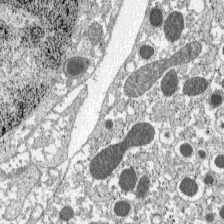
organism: C57BL Mouse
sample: Pancreatic islet